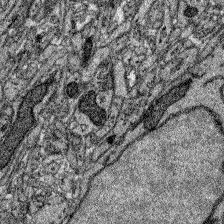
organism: Zebrafish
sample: Larval olfactory bulb